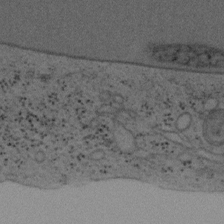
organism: Human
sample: HeLa cells